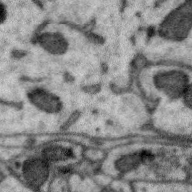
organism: Zebra finch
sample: Brain